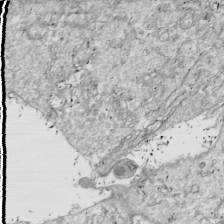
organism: Drosophila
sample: Cell division; meiosis; drosophila spermatocytes